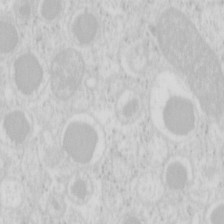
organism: Mouse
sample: Pancreas